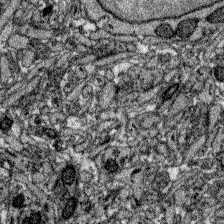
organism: Zebrafish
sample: Larval olfactory bulb